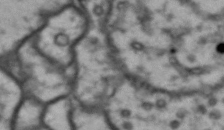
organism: Drosophila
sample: Brain